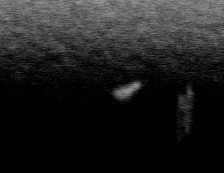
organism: Human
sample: HeLa cells